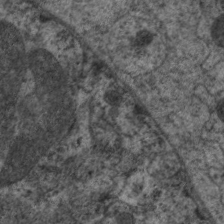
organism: C. elegans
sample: Pharynx